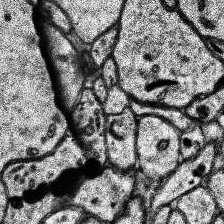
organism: Human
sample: Temporal Lobe